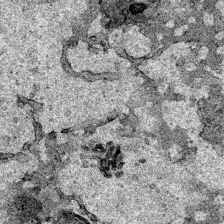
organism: Human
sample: Mitochondria in HCT116 cells